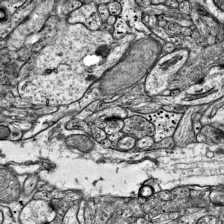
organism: Mouse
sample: Visual Cortex